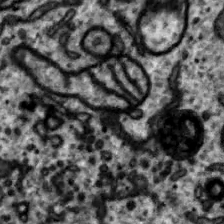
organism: Human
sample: HeLa cells